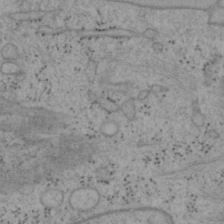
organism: Human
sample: HeLa cells